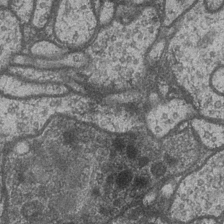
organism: Drosophila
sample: Optic medulla